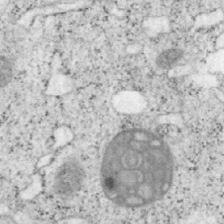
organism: Mouse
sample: OT-I killer T cells with ID8 ovarian cancer cells